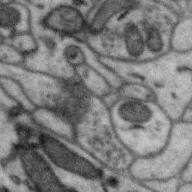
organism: Zebra finch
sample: Brain